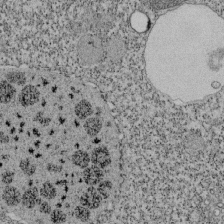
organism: Tetrahymena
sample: Cilia in tetrahymena